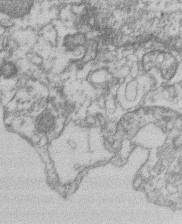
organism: Mouse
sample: T cell stromal cell synapse